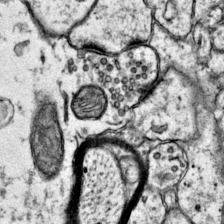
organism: Mouse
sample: Primary visual cortex